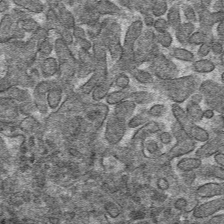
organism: Mouse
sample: Mouse hepatocytes